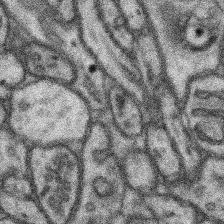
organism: Mouse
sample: Somatosensory cortex neuropil